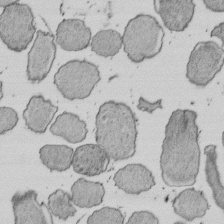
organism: E. coli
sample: Bacterial nucleoid